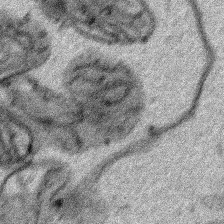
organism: Human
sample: Mitochondria in HCT116 cells